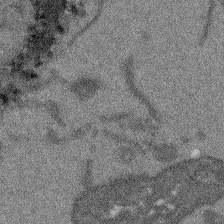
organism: Arabidopsis thaliana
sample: Root tip